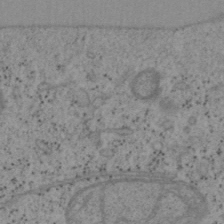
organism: Human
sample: HeLa cells